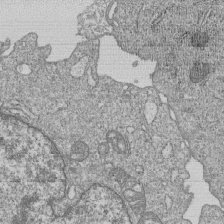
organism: Human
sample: MDA-MB-231 cells